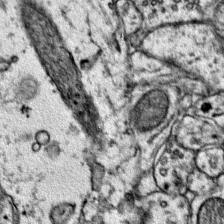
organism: Mouse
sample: Primary visual cortex